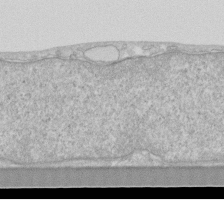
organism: Human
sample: Fibroblast cells